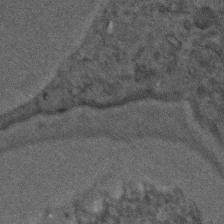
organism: C. elegans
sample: C. elegans embryo